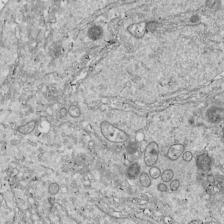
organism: Drosophila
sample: Cell division; meiosis; drosophila spermatocytes